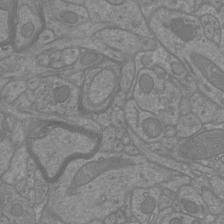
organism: Mouse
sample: Cortical neurons